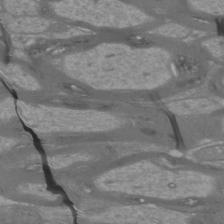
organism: Mouse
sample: Cortical neurons